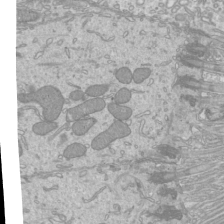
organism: Mouse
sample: Cilia; mouse epididymis